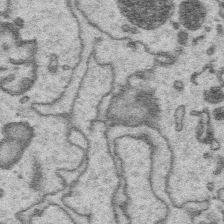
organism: Platynereis dumerilii